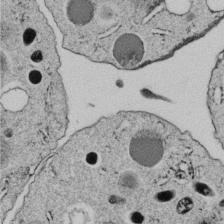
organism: C. elegans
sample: C. elegans embryo early stage